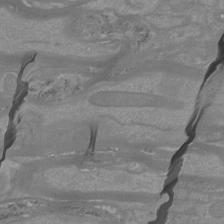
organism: Mouse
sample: Cortical neurons